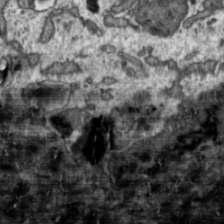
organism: Toxoplasma gondii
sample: Parasites in a vacuole inside a host cell